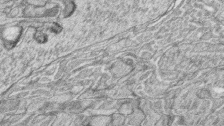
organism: Zebrafish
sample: synaptic ribbons in rod cells and cone cells